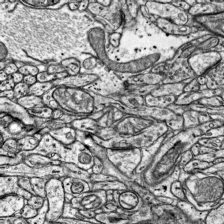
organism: Mouse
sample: Visual Cortex